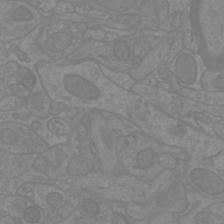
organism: Mouse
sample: Cortical neurons